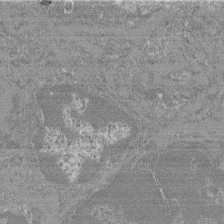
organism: Mouse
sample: Glomerulus